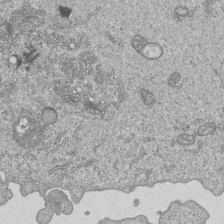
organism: Human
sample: MDA-MB-231 cells